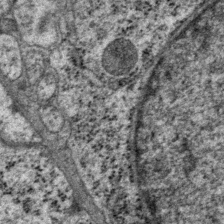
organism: P. pacificus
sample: Pharynx